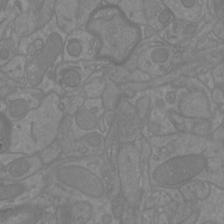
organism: Mouse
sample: Cortical neurons